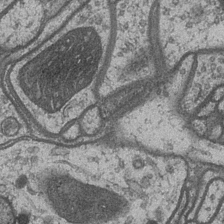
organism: Drosophila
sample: Optic medulla